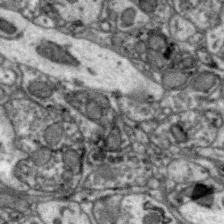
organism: Zebra finch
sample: Brain